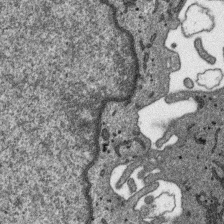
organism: Human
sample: Lung epithelial cells infected with SARS-CoV-2